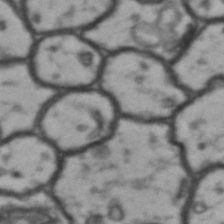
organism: Drosophila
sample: Brain